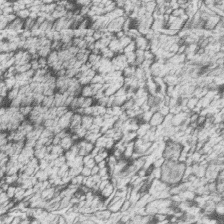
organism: Zebrafish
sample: synaptic ribbons in rod cells and cone cells